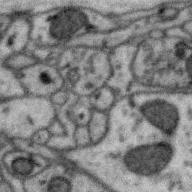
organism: Zebra finch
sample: Brain